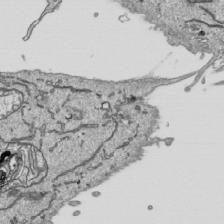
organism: Human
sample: Mitochondria in HCT116 cells